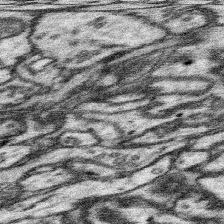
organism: Mouse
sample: Somatosensory cortex neuropil